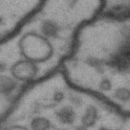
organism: Drosophila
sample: Brain